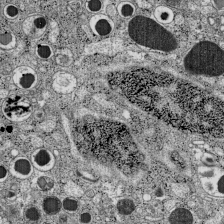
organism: C57BL Mouse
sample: Pancreatic islet